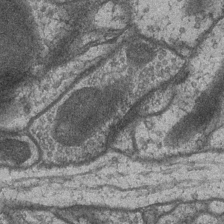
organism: Drosophila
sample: Optic medulla